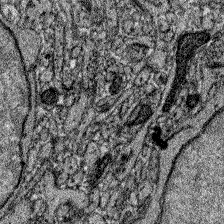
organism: Zebrafish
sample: Larval olfactory bulb